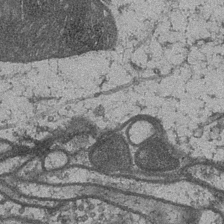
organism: Drosophila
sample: Optic medulla